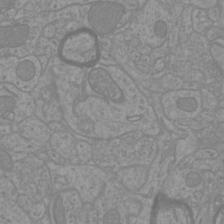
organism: Mouse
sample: Cortical neurons